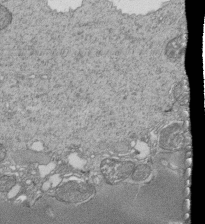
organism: Tetrahymena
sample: Cilia in tetrahymena